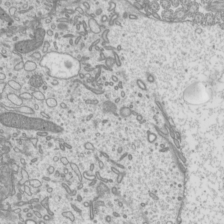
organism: Mouse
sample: Cilia; mouse epididymis